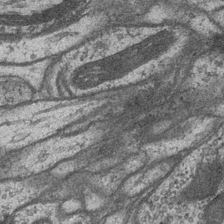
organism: Drosophila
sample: Optic medulla